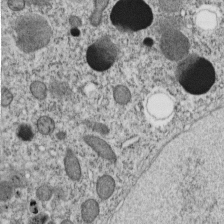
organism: C. elegans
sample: C. elegans embryo early stage